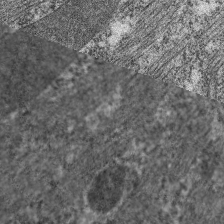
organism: C. elegans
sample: Pharynx